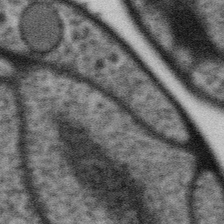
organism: Gemmata obscuriglobus